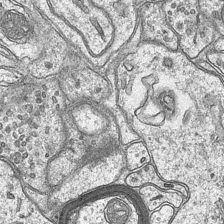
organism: Mouse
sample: CA1 Hippocampus